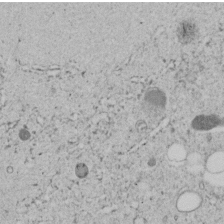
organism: C. elegans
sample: C. elegans embryo early stage